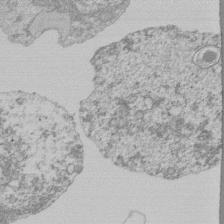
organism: Mouse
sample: Activated Pmel transgenic CD8+ T Cells